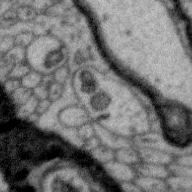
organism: Zebra finch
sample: Brain